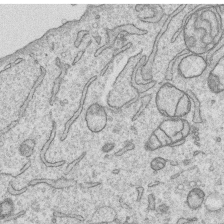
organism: Human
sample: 1205lu cells